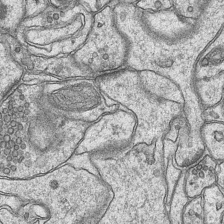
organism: Mouse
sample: CA1 Hippocampus